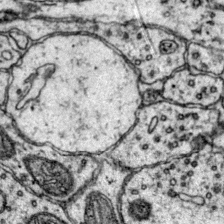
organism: Mouse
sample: Primary visual cortex